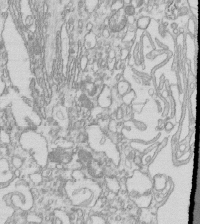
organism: Mouse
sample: Macrophages